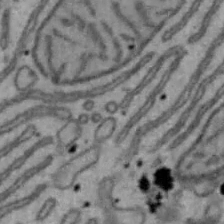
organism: Mouse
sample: Liver